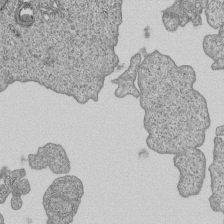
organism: Human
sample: MDA-MB-231 cells